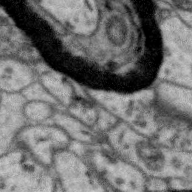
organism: Zebra finch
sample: Brain